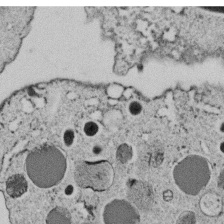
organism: C. elegans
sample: C. elegans embryo early stage